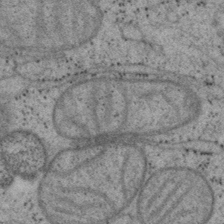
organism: Human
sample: HeLa cells